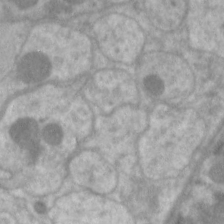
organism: C. elegans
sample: Pharynx